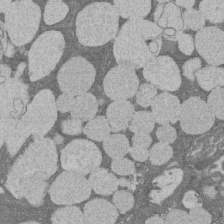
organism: Rat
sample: Salivary granule